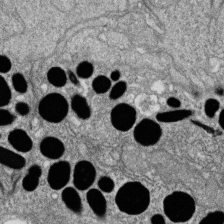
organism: Zebrafish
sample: Cilia; retinal pigment epithelium